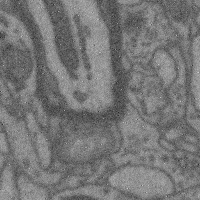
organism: Mouse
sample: Cerebral cortex